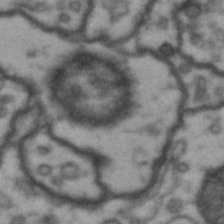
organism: Drosophila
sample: Brain